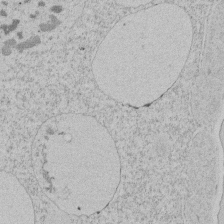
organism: Tetrahymena